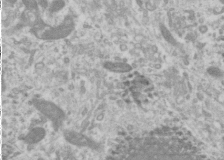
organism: Human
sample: Cilia; basal body in RPE cells